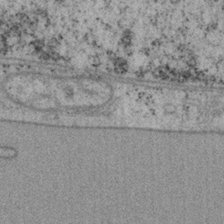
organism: Human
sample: HeLa cells